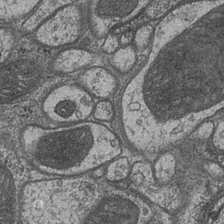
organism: Drosophila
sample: Optic medulla